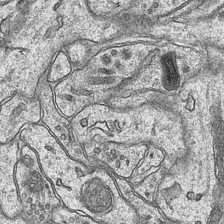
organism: Mouse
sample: CA1 Hippocampus